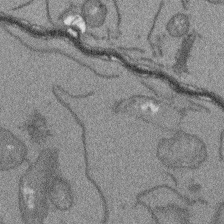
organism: Arabidopsis thaliana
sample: Root tip